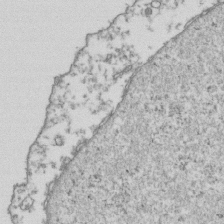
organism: Human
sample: Activated Jurkat CD4+ T cells